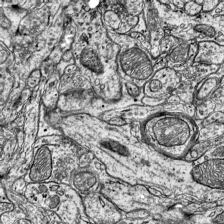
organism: Mouse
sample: Visual Cortex